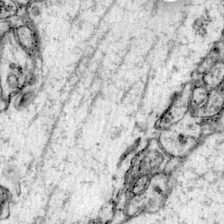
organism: Mouse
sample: Primary visual cortex